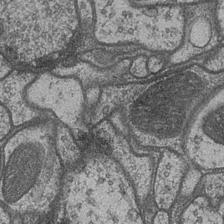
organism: Drosophila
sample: Optic medulla